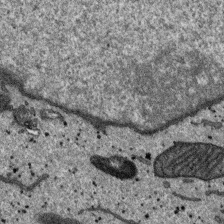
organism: Human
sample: Lung epithelial cells, uninfected (mock) control